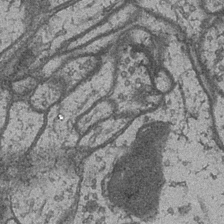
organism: Drosophila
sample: Optic medulla